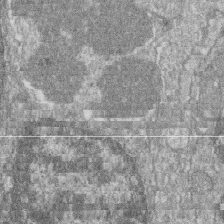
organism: Zebrafish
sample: Cilia; retinal pigment epithelium